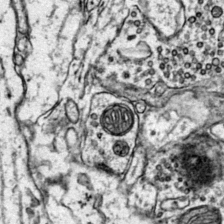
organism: Mouse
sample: Primary visual cortex